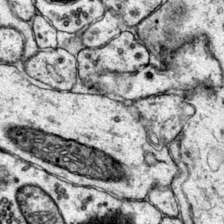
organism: Mouse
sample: Primary visual cortex